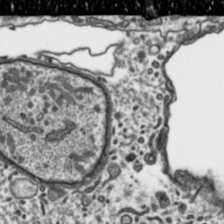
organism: Toxoplasma gondii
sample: Parasites in a vacuole inside a host cell